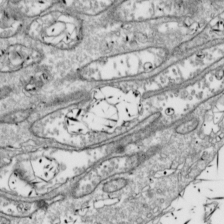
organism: Drosophila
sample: Cell division; meiosis; drosophila spermatocytes